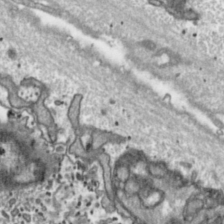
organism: Toxoplasma gondii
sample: Parasites in a vacuole inside a host cell